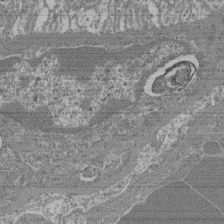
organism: Mouse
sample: Glomerulus